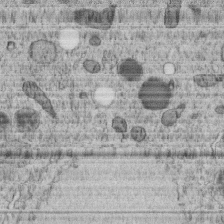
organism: C. elegans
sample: C. elegans embryo early stage